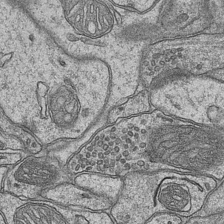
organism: Mouse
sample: CA1 Hippocampus